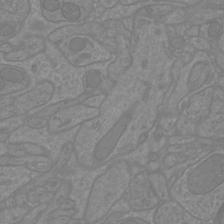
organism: Mouse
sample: Cortical neurons